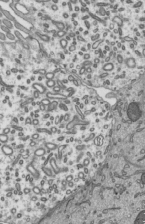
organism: Mouse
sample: Mouse epididymis efferent ductule cilia